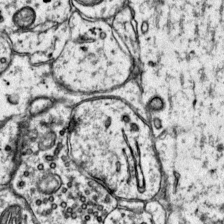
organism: Mouse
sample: Primary visual cortex